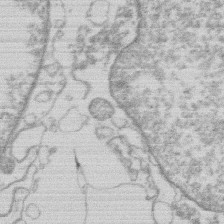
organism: Human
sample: Macrophage cells